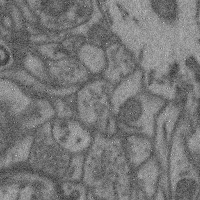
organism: Mouse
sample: Cerebral cortex